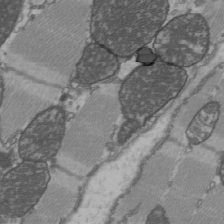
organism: C57BL Mouse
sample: Heart